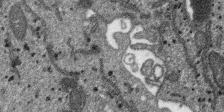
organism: Human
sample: Lung epithelial cells infected with SARS-CoV-2